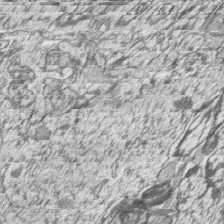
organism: Zebrafish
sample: synaptic ribbons in rod cells and cone cells